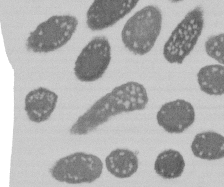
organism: E. coli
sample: Bacterial nucleoid